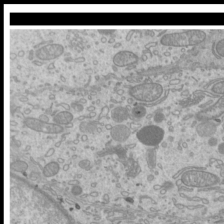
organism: Mouse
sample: Cilia; mouse epididymis